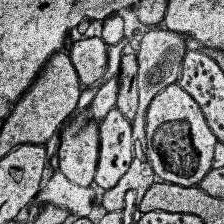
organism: Human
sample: Temporal Lobe